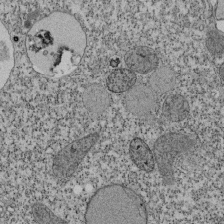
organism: Tetrahymena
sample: Cilia in tetrahymena